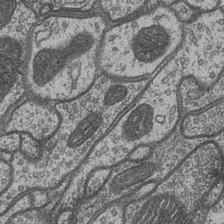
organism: Drosophila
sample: Optic medulla